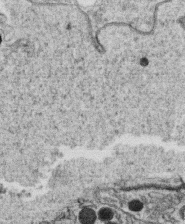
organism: C. elegans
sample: C. elegans oocyte; sperm cells